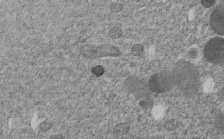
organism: C. elegans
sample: C. elegans embryo early stage